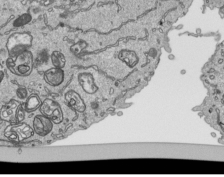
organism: Human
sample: Mitochondria in HCT116 cells